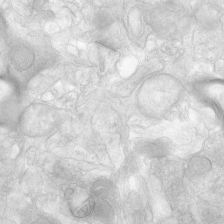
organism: Human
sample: Neocortex